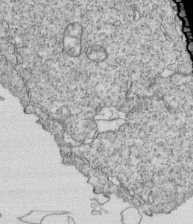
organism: Human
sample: HeLa cell HIV synapse